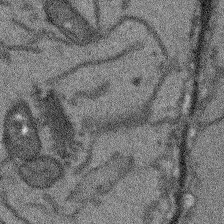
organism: Arabidopsis thaliana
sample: Root tip